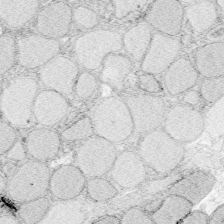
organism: Zebrafish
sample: Whole-Brain